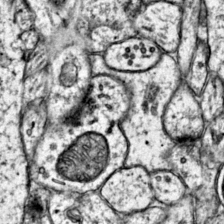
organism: Mouse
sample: Primary visual cortex